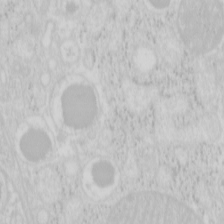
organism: Mouse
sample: Pancreas